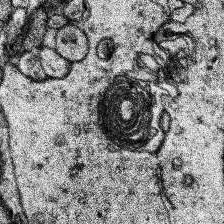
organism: Human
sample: Temporal Lobe